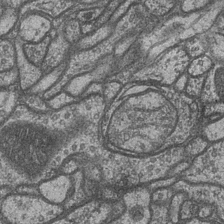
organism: Drosophila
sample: Optic medulla